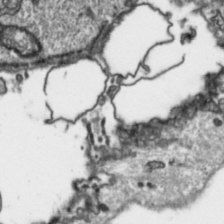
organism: Toxoplasma gondii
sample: Parasites in a vacuole inside a host cell